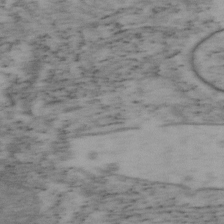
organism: Mouse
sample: OT-I killer T cells with ID8 ovarian cancer cells